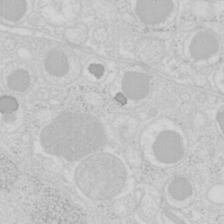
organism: Mouse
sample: Pancreas